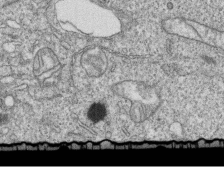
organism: Human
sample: HeLa cell HIV synapse